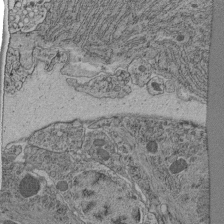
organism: C. elegans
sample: C. elegans pharynx